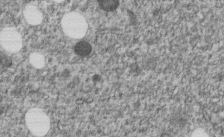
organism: C. elegans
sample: C. elegans embryo early stage